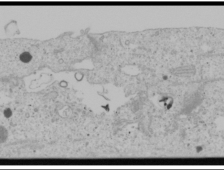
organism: Human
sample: Mitochondria in U2OS cells